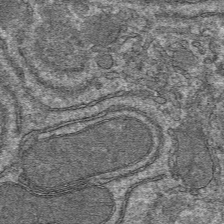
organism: Mouse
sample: Mouse hepatocytes